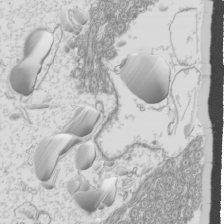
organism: Mouse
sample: Cilia; mouse epididymis